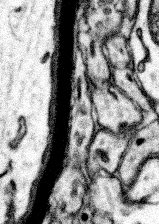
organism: Mouse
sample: Somatosensory cortex neuropil